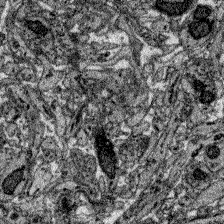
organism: Zebrafish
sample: Larval olfactory bulb